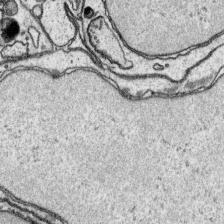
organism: Platynereis dumerilii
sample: Parapodia